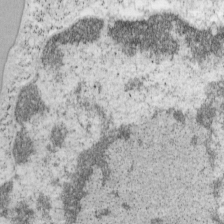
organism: Mouse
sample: OT-I killer T cells with ID8 ovarian cancer cells